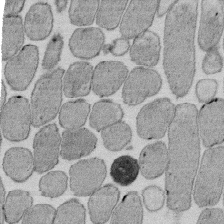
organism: E. coli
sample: Bacterial nucleoid